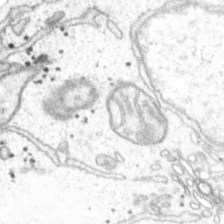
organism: Human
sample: HeLa cells